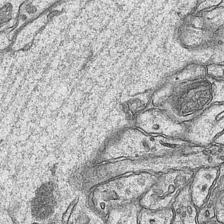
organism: Mouse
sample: CA1 Hippocampus